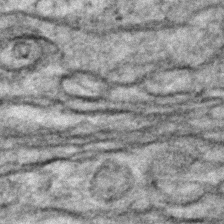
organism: Human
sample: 1205lu cells